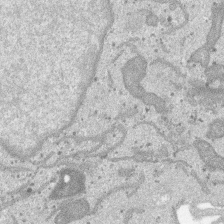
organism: Human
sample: Lung epithelial cells infected with SARS-CoV-2